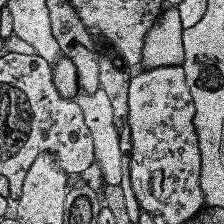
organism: Human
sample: Temporal Lobe